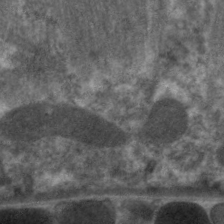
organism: C. elegans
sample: Pharynx